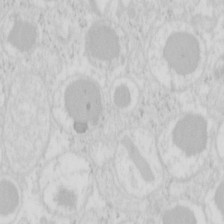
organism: Mouse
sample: Pancreas